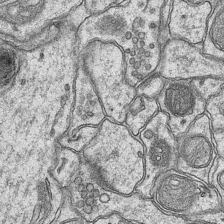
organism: Mouse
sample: CA1 Hippocampus